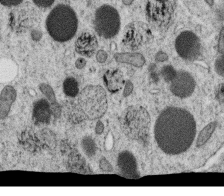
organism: C. elegans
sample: C. elegans oocyte; sperm cells